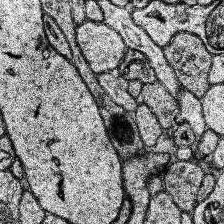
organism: Human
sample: Temporal Lobe